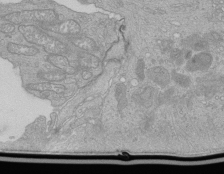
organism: Human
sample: Retinal organoid Rod and Cone cells